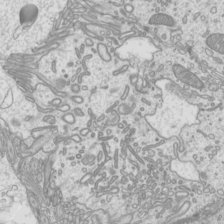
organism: Mouse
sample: Cilia; mouse epididymis